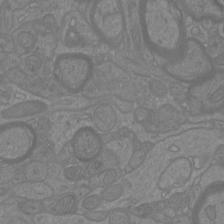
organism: Mouse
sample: Cortical neurons